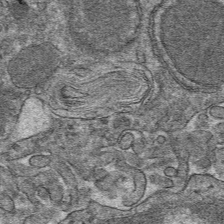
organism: Mouse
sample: Mouse hepatocytes